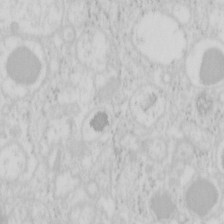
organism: Mouse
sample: Pancreas